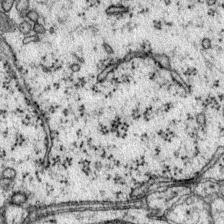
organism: Mouse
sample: Primary visual cortex